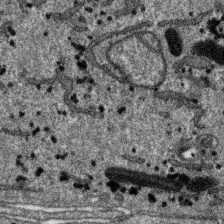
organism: Human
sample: Lung epithelial cells infected with SARS-CoV-2